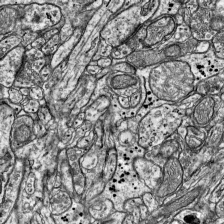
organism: Mouse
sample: Visual Cortex